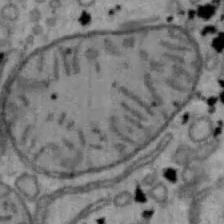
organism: Mouse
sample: Liver